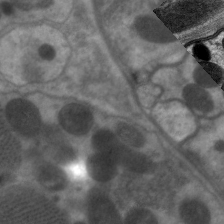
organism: C. elegans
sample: Pharynx